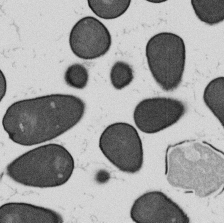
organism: B. subtilis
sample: Bacterial spore